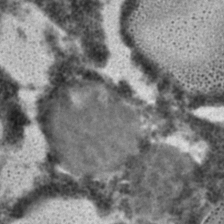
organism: C. elegans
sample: C. elegans embryo